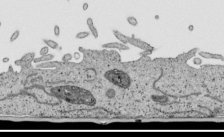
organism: Human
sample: Mitochondria in HCT116 cells